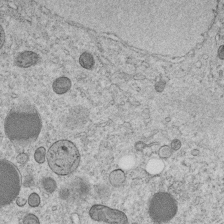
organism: C. elegans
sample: C. elegans embryo early stage